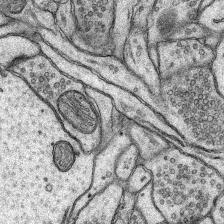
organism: Rat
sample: Hippocampus